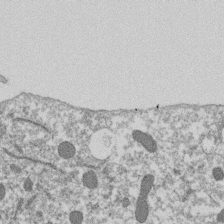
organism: Dictyostelium discoideum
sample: Dictyostelium multivesicular bodies